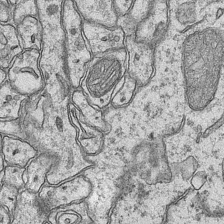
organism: Mouse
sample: CA1 Hippocampus